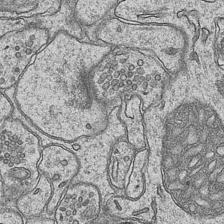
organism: Mouse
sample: CA1 Hippocampus